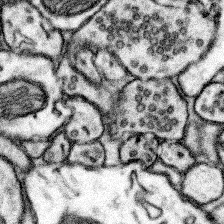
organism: Mouse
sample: Somatosensory cortex neuropil